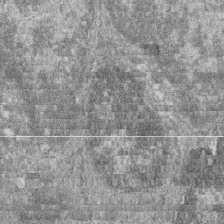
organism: Zebrafish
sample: Cilia; retinal pigment epithelium